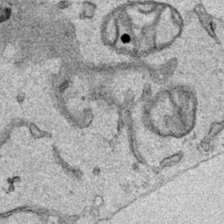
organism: Human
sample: Mitochondria in HCT116 cells